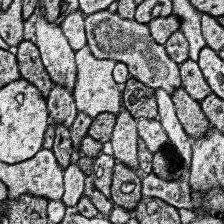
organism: Human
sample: Temporal Lobe